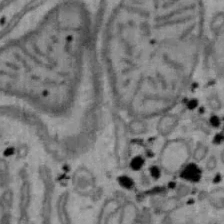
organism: Mouse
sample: Liver